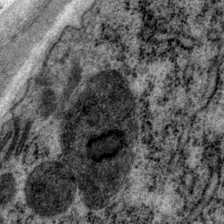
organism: P. pacificus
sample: Pharynx